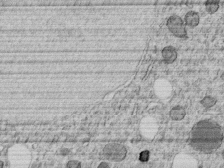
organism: C. elegans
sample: C. elegans embryo early stage